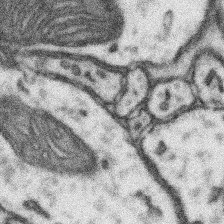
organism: Mouse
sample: Somatosensory cortex neuropil